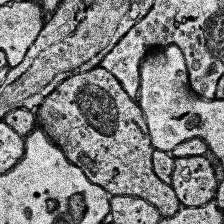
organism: Human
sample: Temporal Lobe